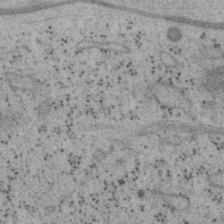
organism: Human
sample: HeLa cells